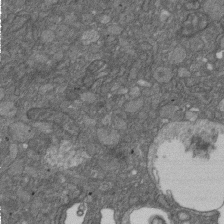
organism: Drosophila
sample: Nephrocyte